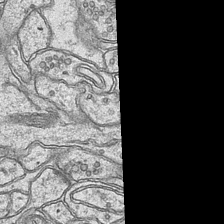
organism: Mouse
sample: CA1 Hippocampus